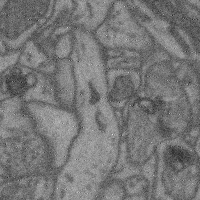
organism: Mouse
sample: Cerebral cortex